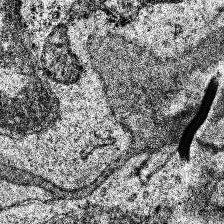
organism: Human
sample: Temporal Lobe